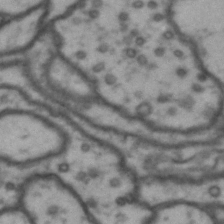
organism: Drosophila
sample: Brain